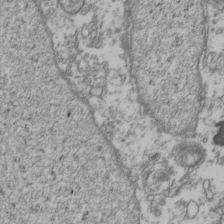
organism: Human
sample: Activated Jurkat CD4+ T cells